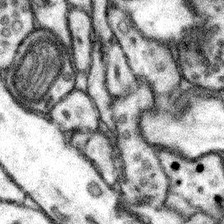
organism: Mouse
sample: Somatosensory cortex neuropil